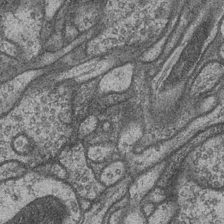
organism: Drosophila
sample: Optic medulla